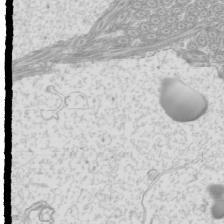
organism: Mouse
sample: Cilia; mouse epididymis